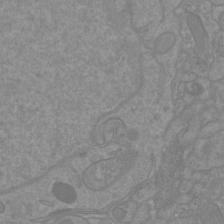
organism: Mouse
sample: Cortical neurons